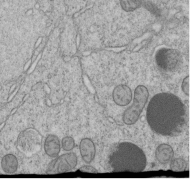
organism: C. elegans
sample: C. elegans embryo early stage